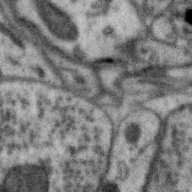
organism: Zebra finch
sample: Brain